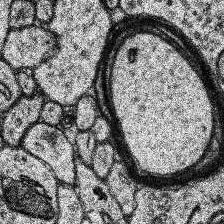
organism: Human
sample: Temporal Lobe